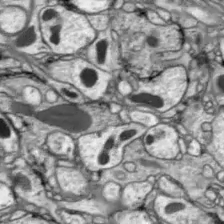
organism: Drosophila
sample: Optic lobe